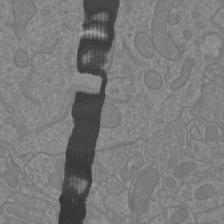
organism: Mouse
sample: Cortical neurons